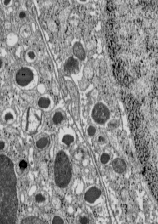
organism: C57BL Mouse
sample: Pancreatic islet